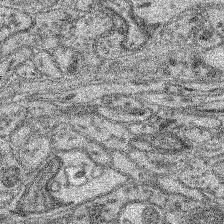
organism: Mouse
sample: Retina